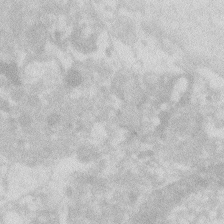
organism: Zebrafish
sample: Macrophage